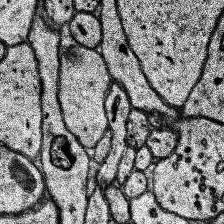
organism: Human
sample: Temporal Lobe